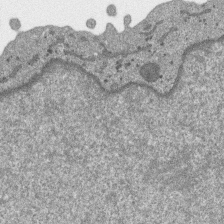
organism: Human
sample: Lung epithelial cells infected with SARS-CoV-2